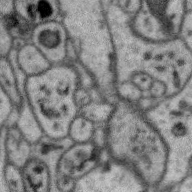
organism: Zebra finch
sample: Brain